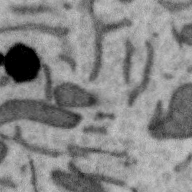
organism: Zebra finch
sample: Brain